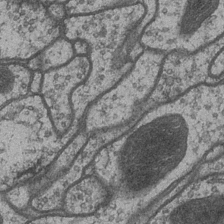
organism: Drosophila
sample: Optic medulla